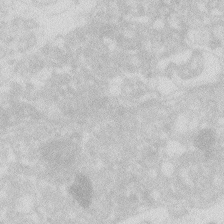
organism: Zebrafish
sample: Macrophage